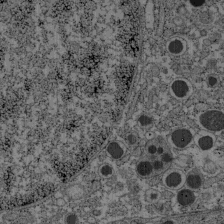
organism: C57BL Mouse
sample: Pancreatic islet